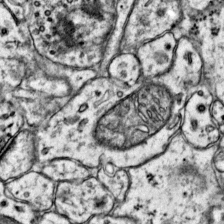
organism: Mouse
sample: Primary visual cortex